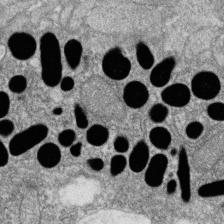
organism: Zebrafish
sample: Cilia; retinal pigment epithelium